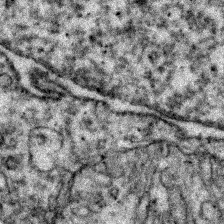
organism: Zebrafish